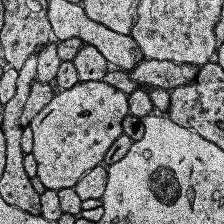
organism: Human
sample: Temporal Lobe